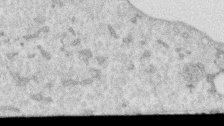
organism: Human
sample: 1205lu cells